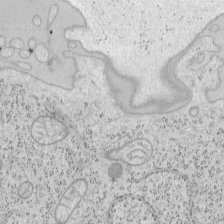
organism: Mouse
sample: OT-I killer T cells with ID8 ovarian cancer cells